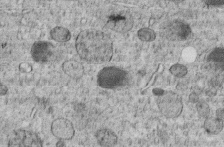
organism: C. elegans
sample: C. elegans embryo early stage